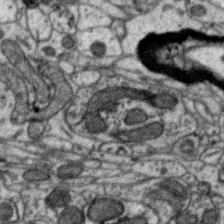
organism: Zebra finch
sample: Brain